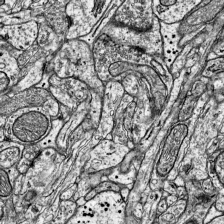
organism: Mouse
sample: Visual Cortex